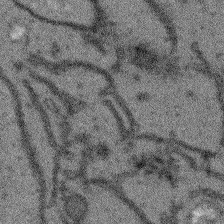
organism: Arabidopsis thaliana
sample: Root tip